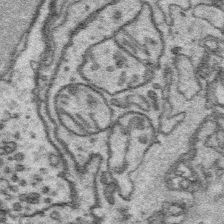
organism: Platynereis dumerilii